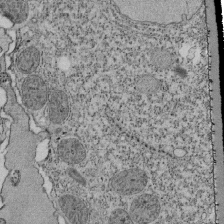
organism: Tetrahymena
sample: Cilia in tetrahymena